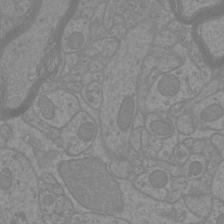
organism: Mouse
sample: Cortical neurons